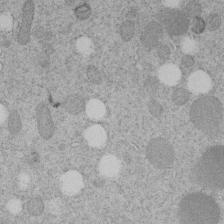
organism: C. elegans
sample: C. elegans embryo early stage